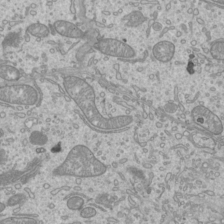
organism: Mouse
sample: Cilia; mouse epididymis